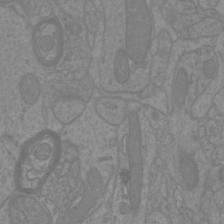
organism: Mouse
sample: Cortical neurons